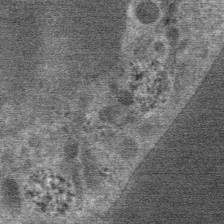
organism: Mouse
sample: Mouse Salivary gland